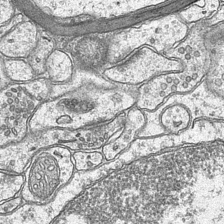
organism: Mouse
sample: CA1 Hippocampus